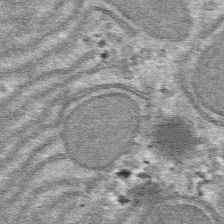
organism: Mouse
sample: Mouse hepatocytes